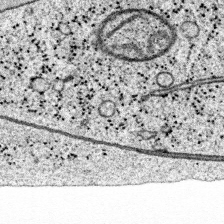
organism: Human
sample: HeLa cells